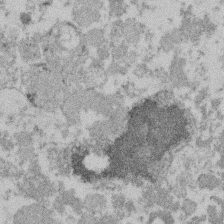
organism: Mouse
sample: Dividing mouse embryo 1 cell stage